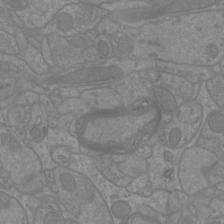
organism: Mouse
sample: Cortical neurons